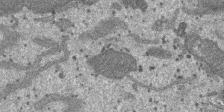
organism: Human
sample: Lung epithelial cells infected with SARS-CoV-2